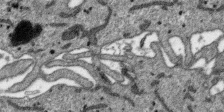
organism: Human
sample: Lung epithelial cells, uninfected (mock) control